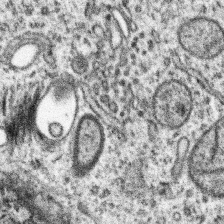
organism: Human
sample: HeLa cells